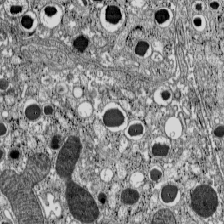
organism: C57BL Mouse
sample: Pancreatic islet